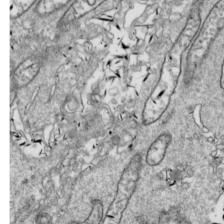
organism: Drosophila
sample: Cell division; meiosis; drosophila spermatocytes